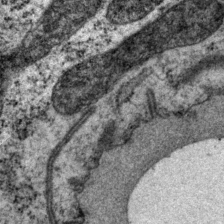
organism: P. pacificus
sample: Pharynx